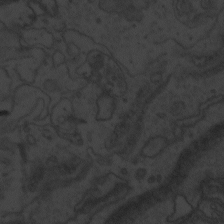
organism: Zebrafish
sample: Macrophage infected with Toxoplasma gondii